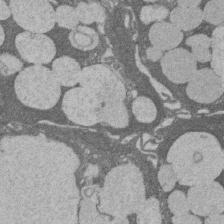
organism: Rat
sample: Salivary granule